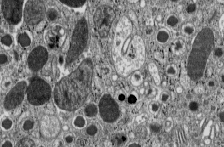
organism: C57BL Mouse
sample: Pancreatic islet